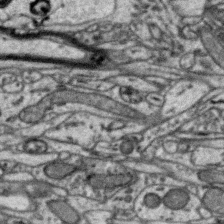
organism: Zebra finch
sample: Brain